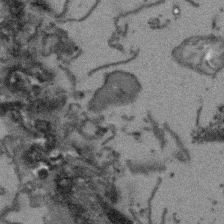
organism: Arabidopsis thaliana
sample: Root tip